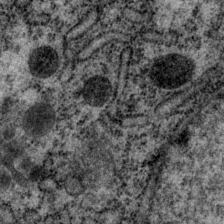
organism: P. pacificus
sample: Pharynx